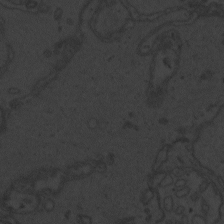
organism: Zebrafish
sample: Macrophage infected with Toxoplasma gondii